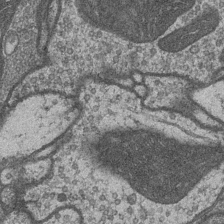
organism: Drosophila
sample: Optic medulla